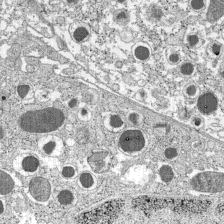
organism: C57BL Mouse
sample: Pancreatic islet